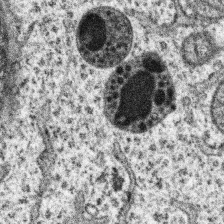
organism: Human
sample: HeLa cells